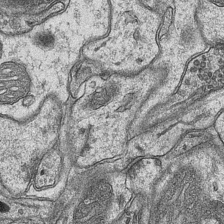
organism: Mouse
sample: CA1 Hippocampus